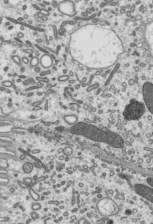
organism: Mouse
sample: Mouse epididymis efferent ductule cilia